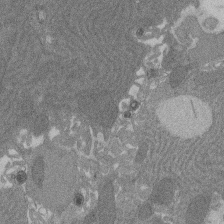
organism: Rat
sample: Salivary granule